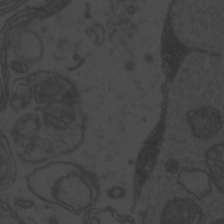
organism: Zebrafish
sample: Macrophage infected with Toxoplasma gondii